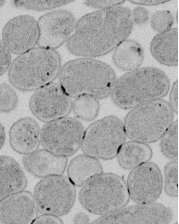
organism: E. coli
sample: Bacterial nucleoid